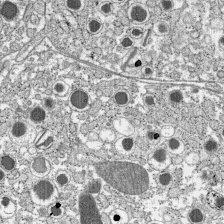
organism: C57BL Mouse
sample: Pancreatic islet